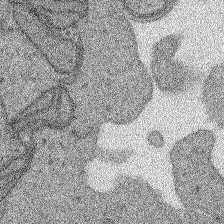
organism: Human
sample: HeLa cells